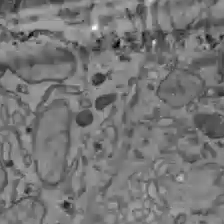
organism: C57BL Mouse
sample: Liver